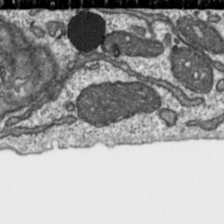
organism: Toxoplasma gondii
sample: Parasites in a vacuole inside a host cell